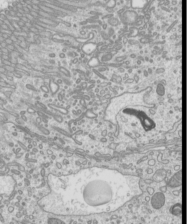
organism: Mouse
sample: Cilia; mouse epididymis